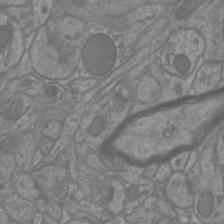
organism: Mouse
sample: Cortical neurons